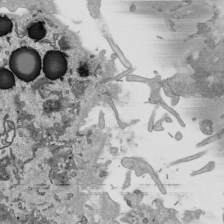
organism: Human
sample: Mitochondria in HCT116 cells